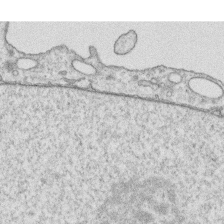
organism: Human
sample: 1205lu cells